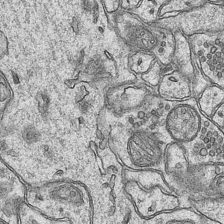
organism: Mouse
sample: CA1 Hippocampus